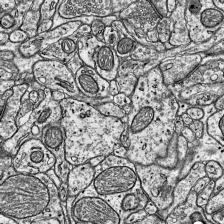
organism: Mouse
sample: Visual Cortex